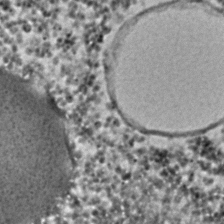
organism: C. elegans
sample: C. elegans embryo